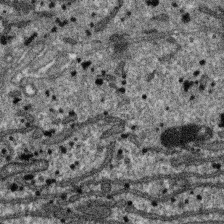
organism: Human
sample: Lung epithelial cells infected with SARS-CoV-2